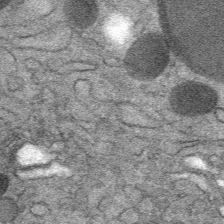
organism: Mouse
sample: Mouse Salivary gland